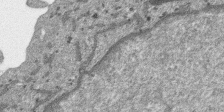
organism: Human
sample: Lung epithelial cells infected with SARS-CoV-2